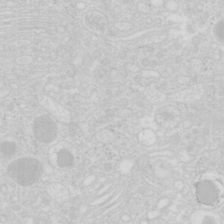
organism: Mouse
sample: Pancreas